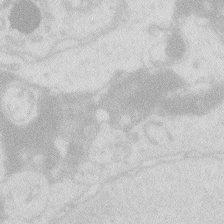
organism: Zebrafish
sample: Macrophage